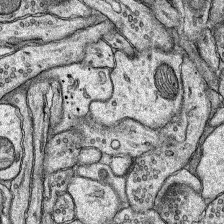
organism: Rat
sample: Hippocampus